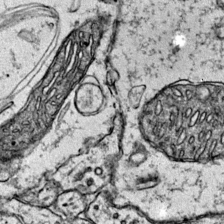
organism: Mouse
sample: Primary visual cortex